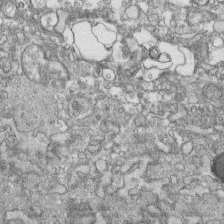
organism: Human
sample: CRL-1474